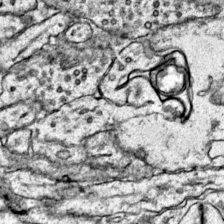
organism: Mouse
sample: Primary visual cortex